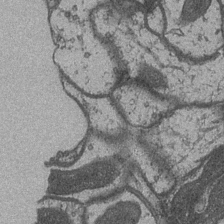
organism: Drosophila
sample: Optic medulla